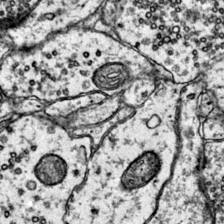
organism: Mouse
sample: Primary visual cortex